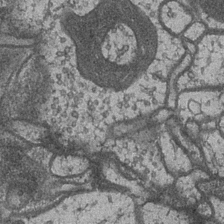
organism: Drosophila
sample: Optic medulla